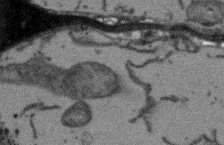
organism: Arabidopsis thaliana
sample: Root tip